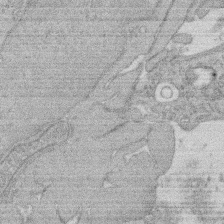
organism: Rat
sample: Salivary granule